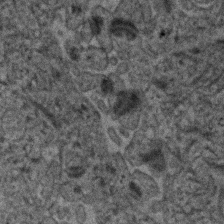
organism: Human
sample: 1205lu cells